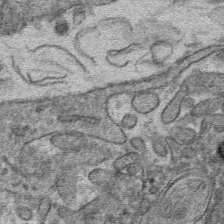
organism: Mouse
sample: Mouse hepatocytes